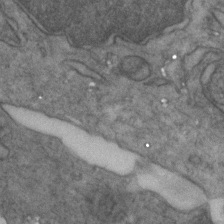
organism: Zebrafish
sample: Zebrafish embryo